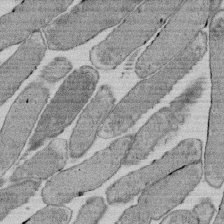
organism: E. coli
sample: Bacterial nucleoid